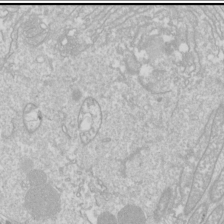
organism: Drosophila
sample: Cell division; meiosis; drosophila spermatocytes